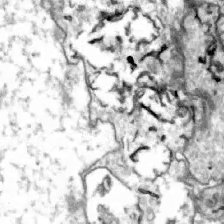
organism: Zebrafish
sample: Actinotrichia fibers